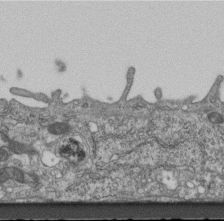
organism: Mouse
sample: Centriole in ependymal cells